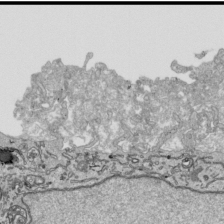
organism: Human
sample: Mitochondria in HCT116 cells